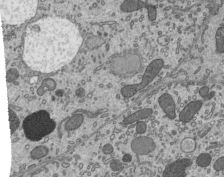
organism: Mouse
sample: Mouse epididymis efferent ductule cilia